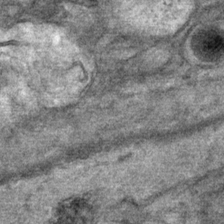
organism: Mouse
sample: Mouse Salivary gland